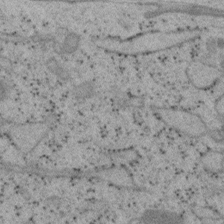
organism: Human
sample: HeLa cells